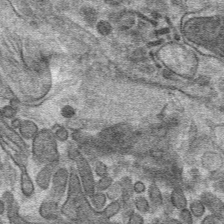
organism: Mouse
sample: Mouse hepatocytes